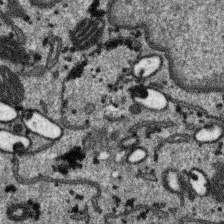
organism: Human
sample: Lung epithelial cells infected with SARS-CoV-2